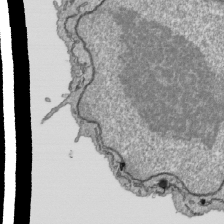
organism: Human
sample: Mitochondria in HCT116 cells